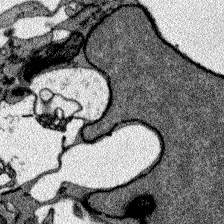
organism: Zebrafish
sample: Larval olfactory bulb